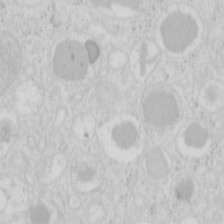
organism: Mouse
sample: Pancreas